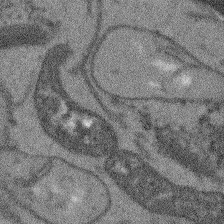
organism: Arabidopsis thaliana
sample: Root tip